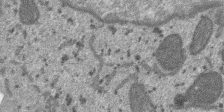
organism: Human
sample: Lung epithelial cells infected with SARS-CoV-2